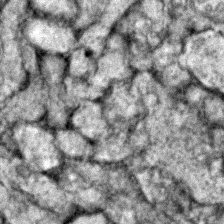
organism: Zebrafish